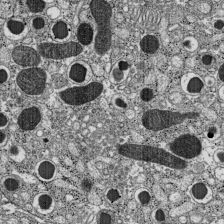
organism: C57BL Mouse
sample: Pancreatic islet